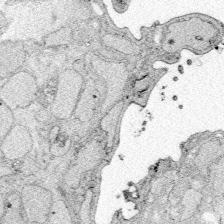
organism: Zebrafish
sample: Whole-Brain